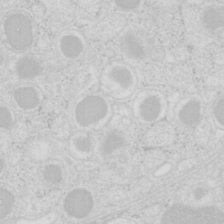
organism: Mouse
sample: Pancreas